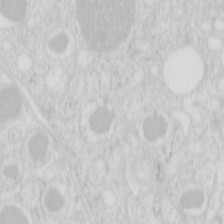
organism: Mouse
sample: Pancreas